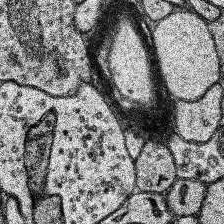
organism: Human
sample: Temporal Lobe